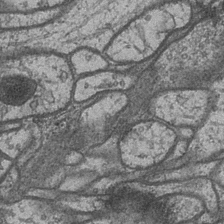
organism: Drosophila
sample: Optic medulla